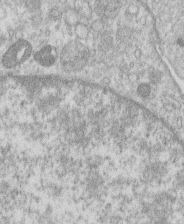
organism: Human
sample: Macrophage cells